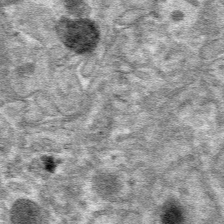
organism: Mouse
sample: Mouse hepatocytes